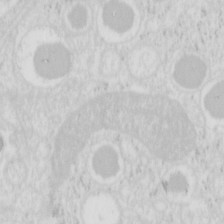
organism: Mouse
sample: Pancreas